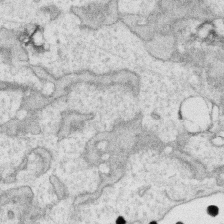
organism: Human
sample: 1205lu cells